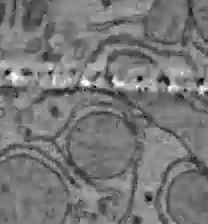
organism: C57BL Mouse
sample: Liver